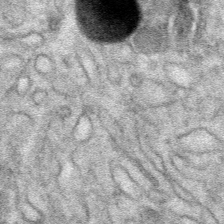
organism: Mouse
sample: Mouse Salivary gland